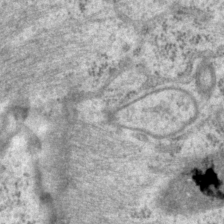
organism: P. pacificus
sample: Pharynx